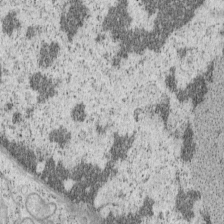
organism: Mouse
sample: OT-I killer T cells with ID8 ovarian cancer cells